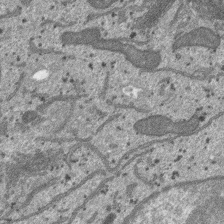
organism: Human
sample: Lung epithelial cells infected with SARS-CoV-2